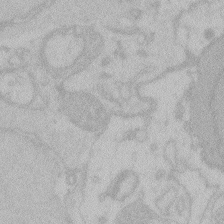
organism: Zebrafish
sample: Macrophage infected with Toxoplasma gondii